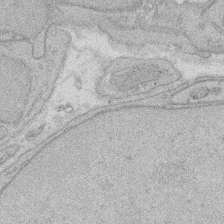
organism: Rat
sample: Salivary granule